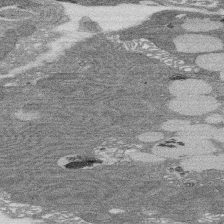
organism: Rat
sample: Salivary granule